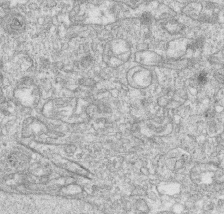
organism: Human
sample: HeLa cell HIV synapse